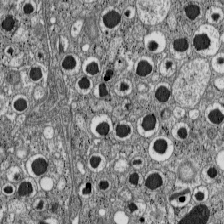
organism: C57BL Mouse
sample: Pancreatic islet